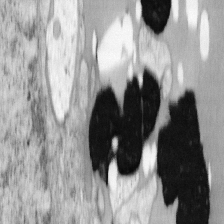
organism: Human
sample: HeLa cells